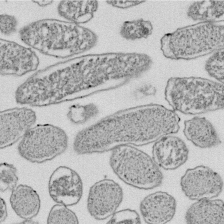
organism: E. coli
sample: Bacterial nucleoid